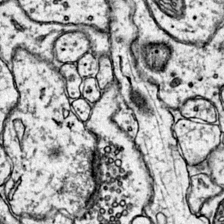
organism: Mouse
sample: Primary visual cortex